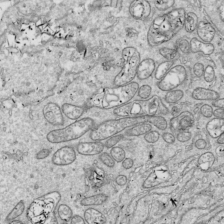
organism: Drosophila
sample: Cell division; meiosis; drosophila spermatocytes